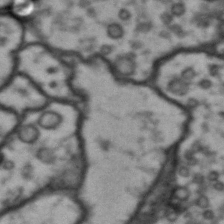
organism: Drosophila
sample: Brain